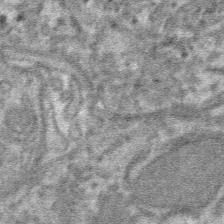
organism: Mouse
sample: Mouse hepatocytes